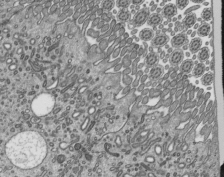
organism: Mouse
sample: Mouse epididymis efferent ductule cilia